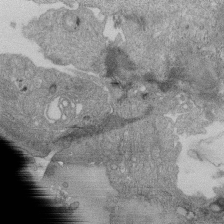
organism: Human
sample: Retinal organoid Rod and Cone cells